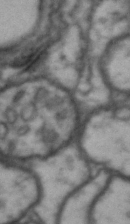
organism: Drosophila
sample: Brain